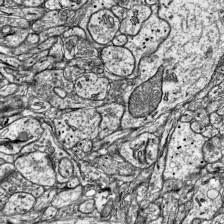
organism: Mouse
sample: Visual Cortex